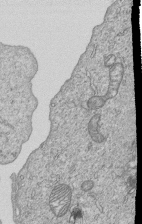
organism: Human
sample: MDA-MB-231 cells